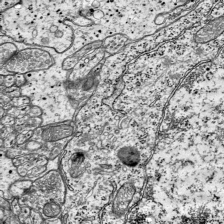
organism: Mouse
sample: Visual Cortex